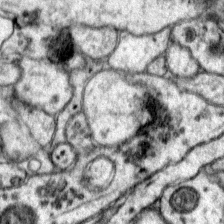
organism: Mouse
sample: Primary visual cortex